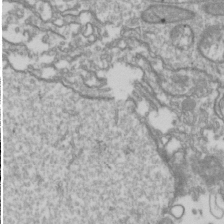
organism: Drosophila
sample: Cell division; meiosis; drosophila spermatocytes